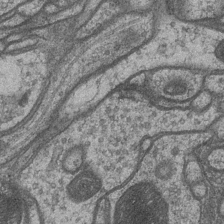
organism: Drosophila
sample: Optic medulla